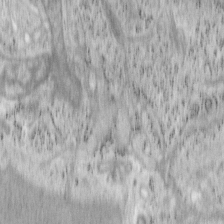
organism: Human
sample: HeLa cells